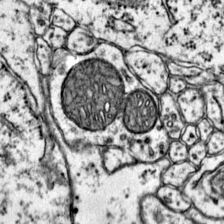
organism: Mouse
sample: Primary visual cortex